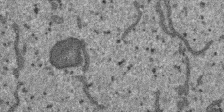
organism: Human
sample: Lung epithelial cells infected with SARS-CoV-2